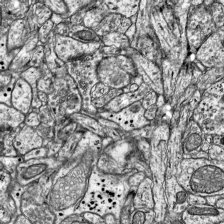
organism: Mouse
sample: Visual Cortex